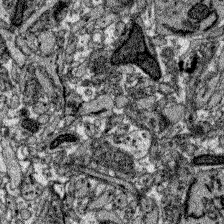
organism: Zebrafish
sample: Larval olfactory bulb